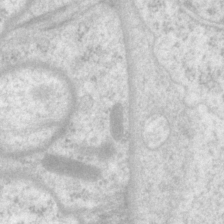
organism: P. pacificus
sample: Pharynx